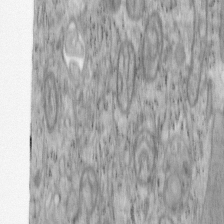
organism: Human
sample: HeLa cells